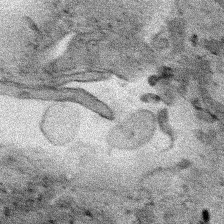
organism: Human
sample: Mitochondria in HCT116 cells